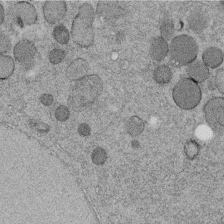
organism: C. elegans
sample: C. elegans embryo early stage